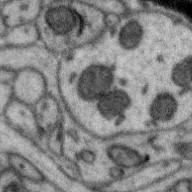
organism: Zebra finch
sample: Brain